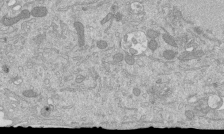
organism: Mouse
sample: ED-1 cell nuclei; centrioles